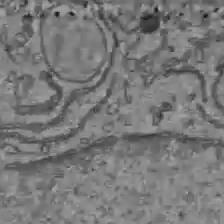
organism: C57BL Mouse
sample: Liver